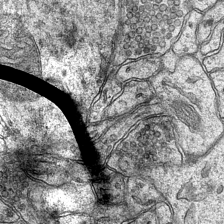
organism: Mouse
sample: CA1 Hippocampus